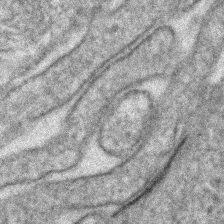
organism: Human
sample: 1205lu cells